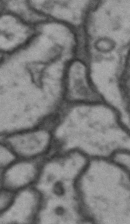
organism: Drosophila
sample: Brain